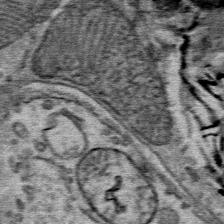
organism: Mouse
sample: Mouse Salivary gland